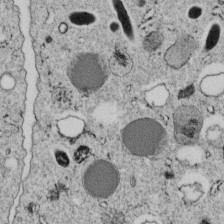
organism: C. elegans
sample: C. elegans embryo early stage